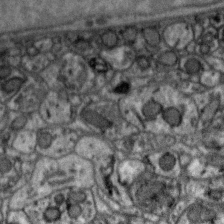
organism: Zebra finch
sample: Brain